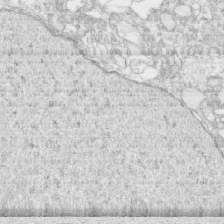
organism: Human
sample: CRL-1474